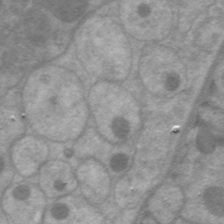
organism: C. elegans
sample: Pharynx